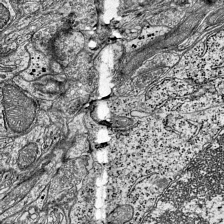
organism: Mouse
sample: Visual Cortex